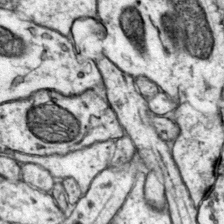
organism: Mouse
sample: Primary visual cortex